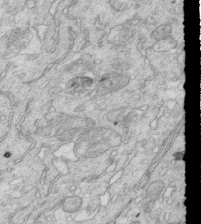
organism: Mouse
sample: Multiciliated cells